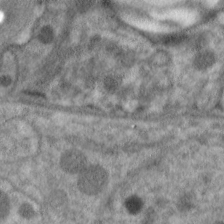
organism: C. elegans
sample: Pharynx